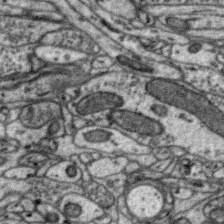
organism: Zebra finch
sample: Brain